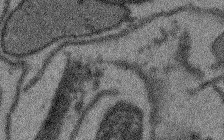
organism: Arabidopsis thaliana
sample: Root tip